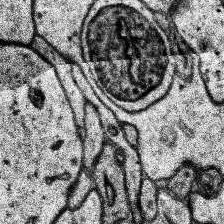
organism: Human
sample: Temporal Lobe